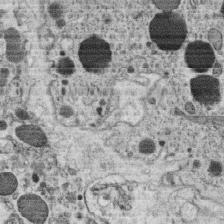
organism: C. elegans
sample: C. elegans oocyte; sperm cells